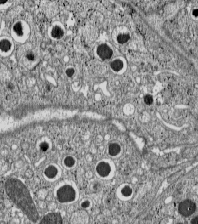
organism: C57BL Mouse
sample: Pancreatic islet